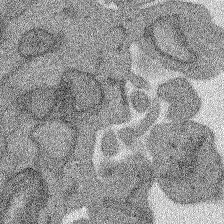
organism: Human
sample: HeLa cells